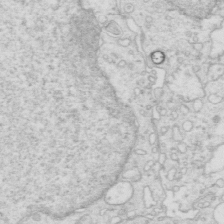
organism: Mouse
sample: Multiciliated cells